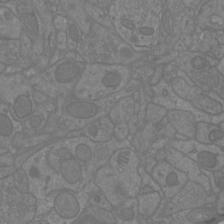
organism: Mouse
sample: Cortical neurons